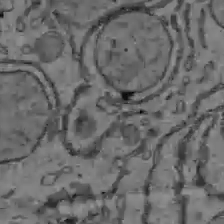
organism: C57BL Mouse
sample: Liver